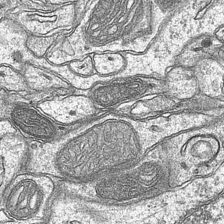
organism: Mouse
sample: CA1 Hippocampus